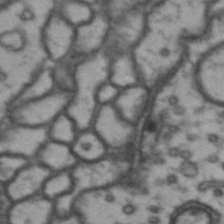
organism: Drosophila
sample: Brain